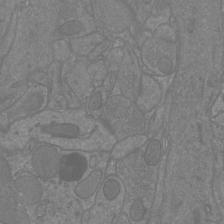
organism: Mouse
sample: Cortical neurons